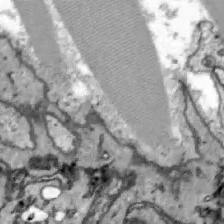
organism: Zebrafish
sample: Actinotrichia fibers